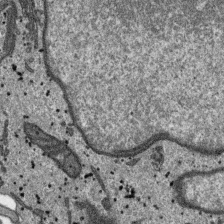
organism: Human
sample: Lung epithelial cells, uninfected (mock) control